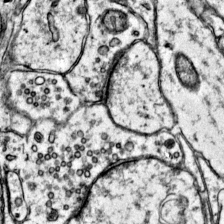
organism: Mouse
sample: Primary visual cortex